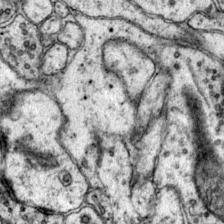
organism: Mouse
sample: Primary visual cortex